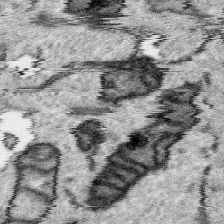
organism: Human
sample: HeLa cells